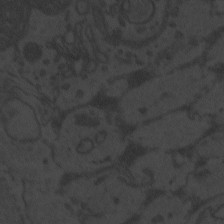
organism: Zebrafish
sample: Macrophage infected with Toxoplasma gondii